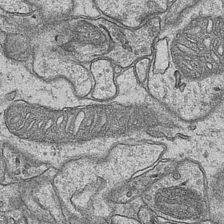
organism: Mouse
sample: CA1 Hippocampus